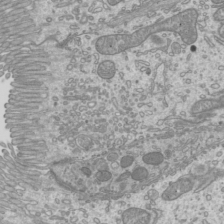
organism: Mouse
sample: Cilia; mouse epididymis